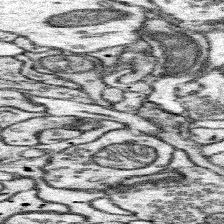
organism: Mouse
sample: Somatosensory cortex neuropil